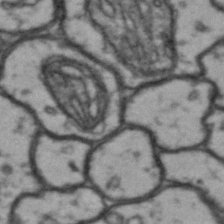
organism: Drosophila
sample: Brain